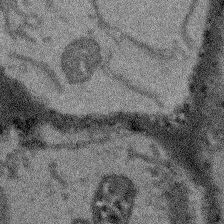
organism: Arabidopsis thaliana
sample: Root tip